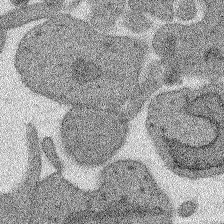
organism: Human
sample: HeLa cells